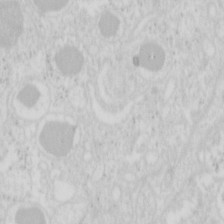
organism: Mouse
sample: Pancreas